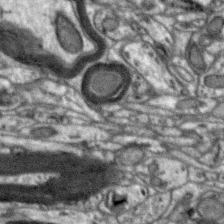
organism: Zebra finch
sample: Brain